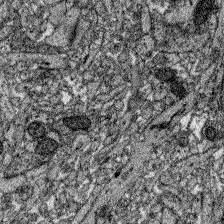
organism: Zebrafish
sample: Larval olfactory bulb